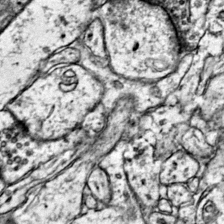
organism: Mouse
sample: Primary visual cortex